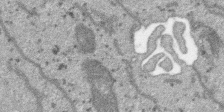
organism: Human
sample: Lung epithelial cells infected with SARS-CoV-2